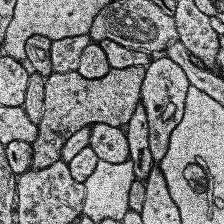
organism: Human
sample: Temporal Lobe